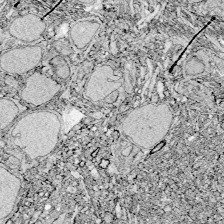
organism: Zebrafish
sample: Whole-Brain